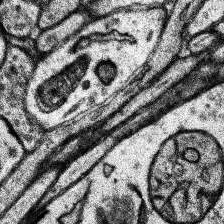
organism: Human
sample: Temporal Lobe